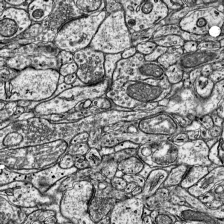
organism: Mouse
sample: Visual Cortex